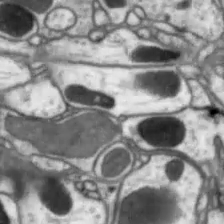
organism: Drosophila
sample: Optic lobe